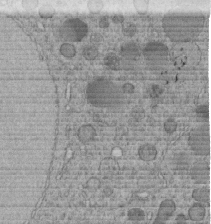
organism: C. elegans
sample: C. elegans embryo early stage